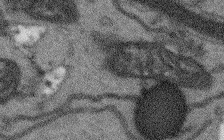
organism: Arabidopsis thaliana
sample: Root tip